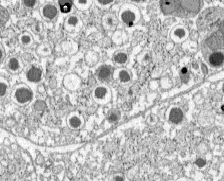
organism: C57BL Mouse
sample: Pancreatic islet